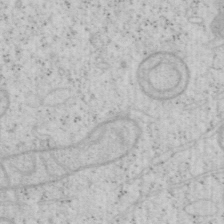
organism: Human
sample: HeLa cells